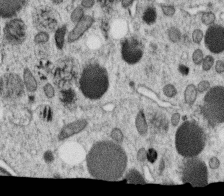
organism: C. elegans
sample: C. elegans oocyte; sperm cells